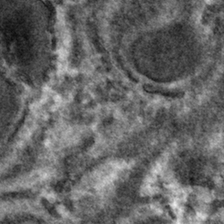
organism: Mouse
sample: Mouse hepatocytes